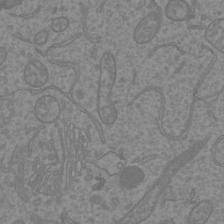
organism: Mouse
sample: Cortical neurons